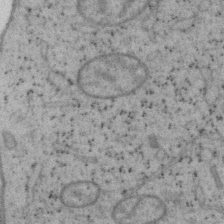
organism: Human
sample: HeLa cells